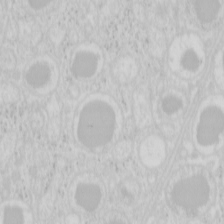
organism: Mouse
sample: Pancreas